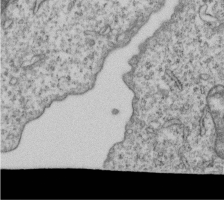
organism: Human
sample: MDA-MB-231 cells